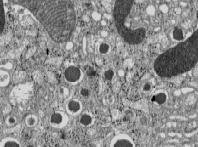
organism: C57BL Mouse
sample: Pancreatic islet